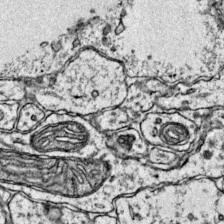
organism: Mouse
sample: Primary visual cortex